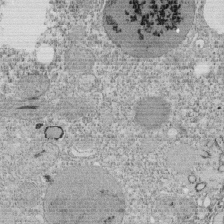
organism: Tetrahymena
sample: Cilia in tetrahymena